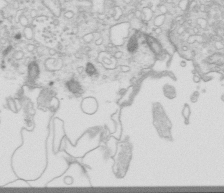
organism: Mouse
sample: Multiciliated cells